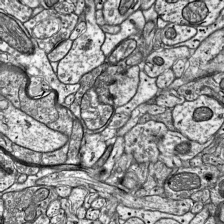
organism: Mouse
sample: Visual Cortex